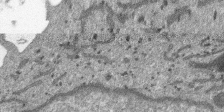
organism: Human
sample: Lung epithelial cells infected with SARS-CoV-2